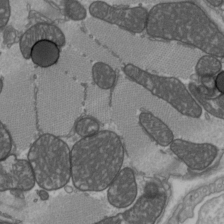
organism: C57BL Mouse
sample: Heart